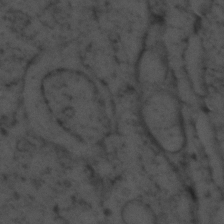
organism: Zebrafish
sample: Zebrafish embryo